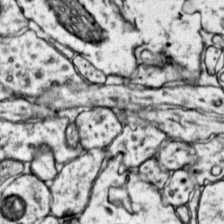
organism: Mouse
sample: Primary visual cortex